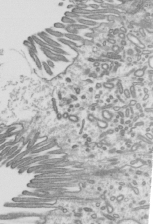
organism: Mouse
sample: Mouse epididymis efferent ductule cilia